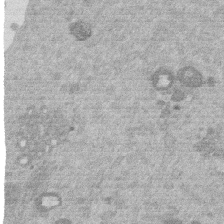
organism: Mouse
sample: Dividing mouse embryo 1 cell stage